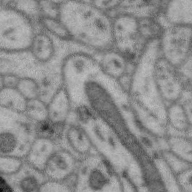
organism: Zebra finch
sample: Brain